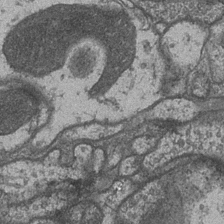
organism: Drosophila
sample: Optic medulla